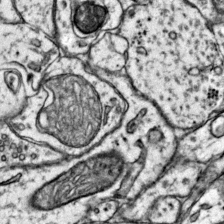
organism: Mouse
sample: Primary visual cortex